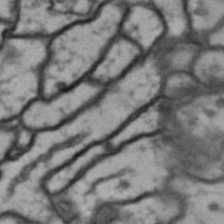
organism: Drosophila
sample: Brain